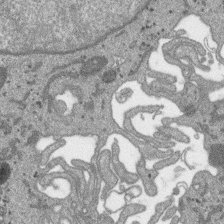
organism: Human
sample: Lung epithelial cells infected with SARS-CoV-2